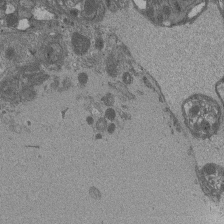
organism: Drosophila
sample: Antenna